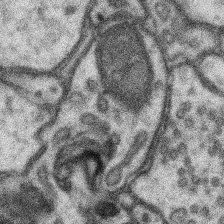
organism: Mouse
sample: Somatosensory cortex neuropil